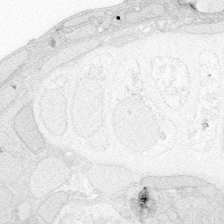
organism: Zebrafish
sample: Whole-Brain